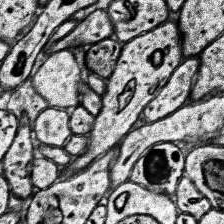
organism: Human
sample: Temporal Lobe